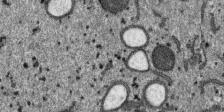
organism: Human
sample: Lung epithelial cells infected with SARS-CoV-2